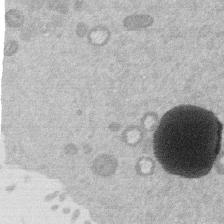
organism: Mouse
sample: Dividing mouse embryo 1 cell stage